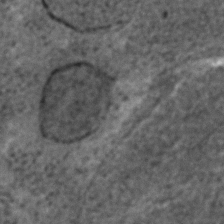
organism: C. elegans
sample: C. elegans embryo